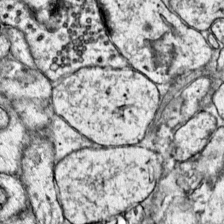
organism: Mouse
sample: Primary visual cortex